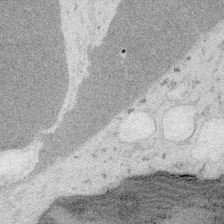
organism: Embia sp.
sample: Silk gland